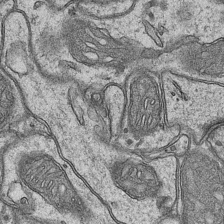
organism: Mouse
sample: CA1 Hippocampus